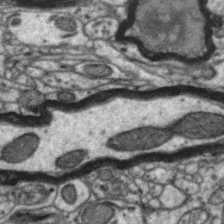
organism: Zebra finch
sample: Brain